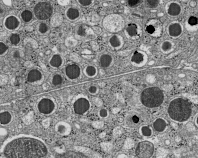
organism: C57BL Mouse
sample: Pancreatic islet